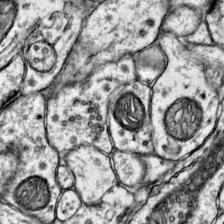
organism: Mouse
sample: Primary visual cortex